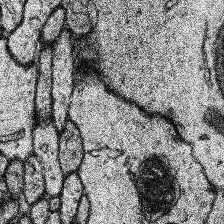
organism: Human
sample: Temporal Lobe